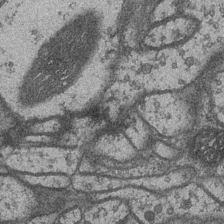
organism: Drosophila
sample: Optic medulla